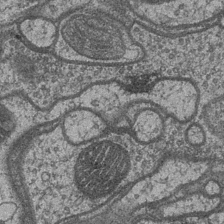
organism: Drosophila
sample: Optic medulla